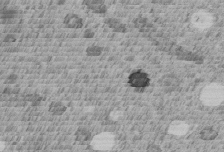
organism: C. elegans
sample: C. elegans embryo early stage